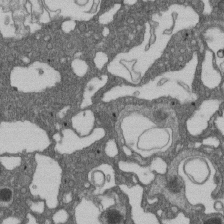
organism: Drosophila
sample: Nephrocyte